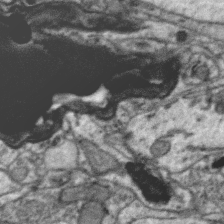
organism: Zebra finch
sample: Brain